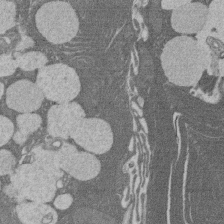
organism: Rat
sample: Salivary granule